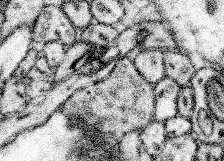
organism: Mouse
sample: Somatosensory cortex neuropil